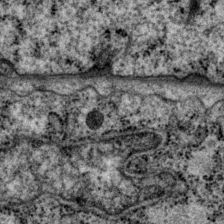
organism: P. pacificus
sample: Pharynx